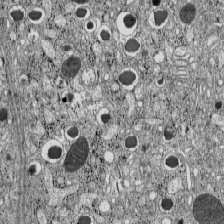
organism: C57BL Mouse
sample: Pancreatic islet